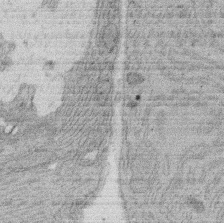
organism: Rat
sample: Salivary granule